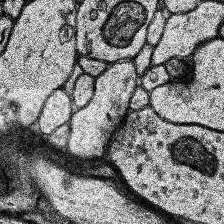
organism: Human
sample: Temporal Lobe